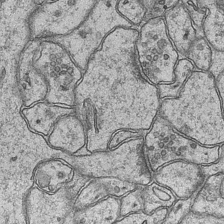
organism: Mouse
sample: CA1 Hippocampus